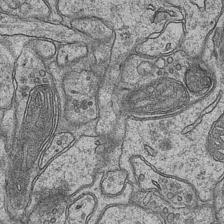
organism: Mouse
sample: CA1 Hippocampus